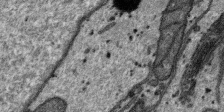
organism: Human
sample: Lung epithelial cells, uninfected (mock) control